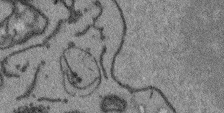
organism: Arabidopsis thaliana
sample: Root tip